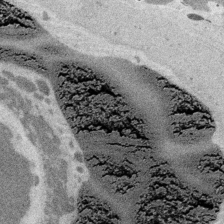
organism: Embia sp.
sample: Silk gland